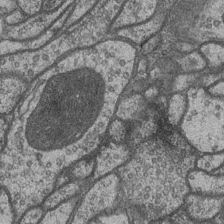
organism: Drosophila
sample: Optic medulla